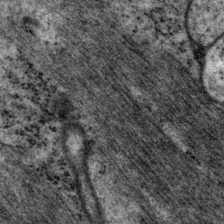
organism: P. pacificus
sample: Pharynx